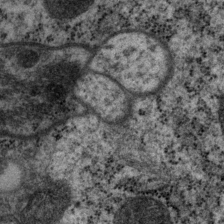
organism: P. pacificus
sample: Pharynx